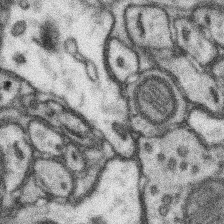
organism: Mouse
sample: Somatosensory cortex neuropil